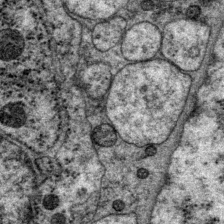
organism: P. pacificus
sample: Pharynx